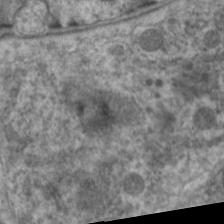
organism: C. elegans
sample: Pharynx